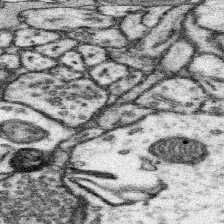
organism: Mouse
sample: Somatosensory cortex neuropil